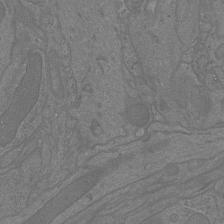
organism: Mouse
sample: Cortical neurons